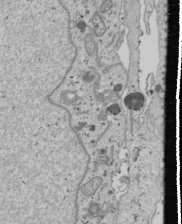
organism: Human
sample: Mitochondria in U2OS cells